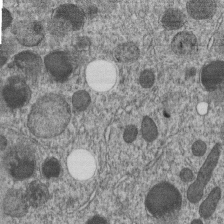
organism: C. elegans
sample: C. elegans embryo early stage